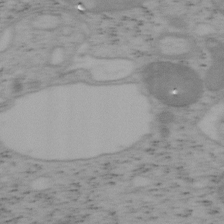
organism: Mouse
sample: OT-I killer T cells with ID8 ovarian cancer cells